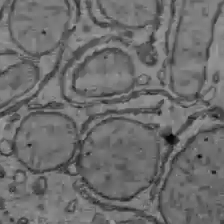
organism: C57BL Mouse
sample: Liver